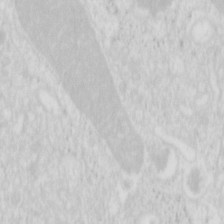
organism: Mouse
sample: Pancreas